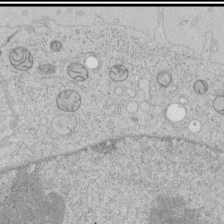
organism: Human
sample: Mitochondria in HCT116 cells